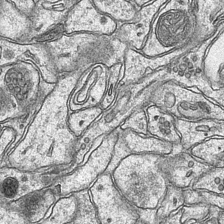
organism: Mouse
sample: CA1 Hippocampus